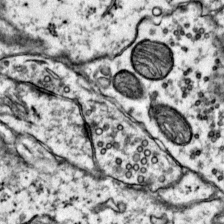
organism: Mouse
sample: Primary visual cortex